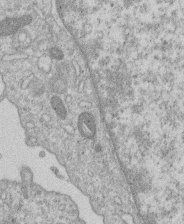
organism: Human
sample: Macrophage cells